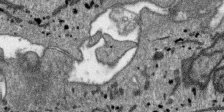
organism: Human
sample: Lung epithelial cells, uninfected (mock) control